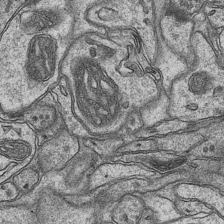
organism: Mouse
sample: CA1 Hippocampus